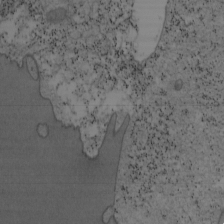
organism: Mouse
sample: OT-I killer T cells with ID8 ovarian cancer cells